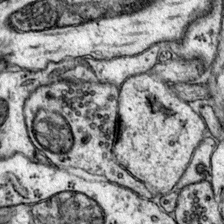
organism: Mouse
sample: Primary visual cortex